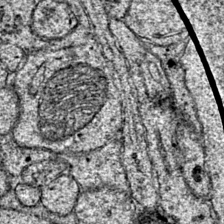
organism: Mouse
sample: Primary visual cortex